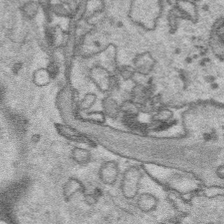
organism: Platynereis dumerilii